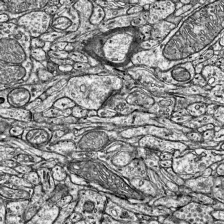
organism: Mouse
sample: Visual Cortex